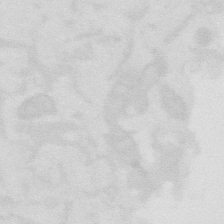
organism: Human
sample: HeLa cells